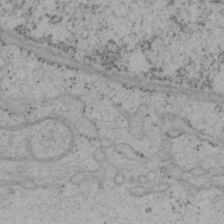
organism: Human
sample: HeLa cells